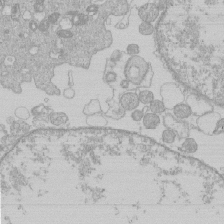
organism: Human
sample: Macrophage cells